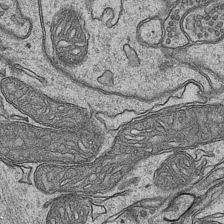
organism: Mouse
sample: CA1 Hippocampus